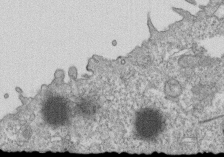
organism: Human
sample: HeLa cell HIV synapse